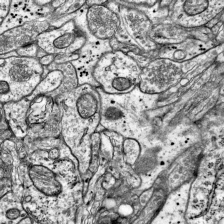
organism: Mouse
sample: Visual Cortex